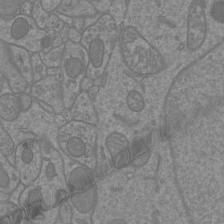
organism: Mouse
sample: Cortical neurons